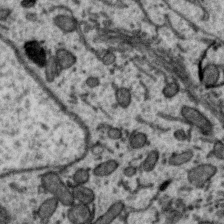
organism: Zebra finch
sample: Brain